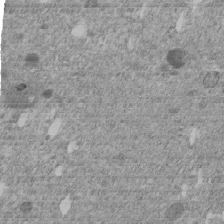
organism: C. elegans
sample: C. elegans embryo early stage